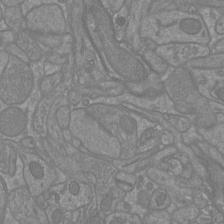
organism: Mouse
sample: Cortical neurons